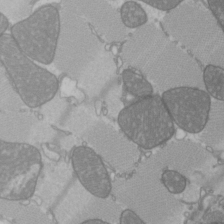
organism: C57BL Mouse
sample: Heart